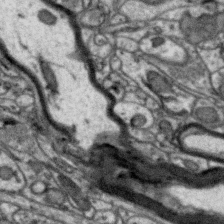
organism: Zebra finch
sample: Brain